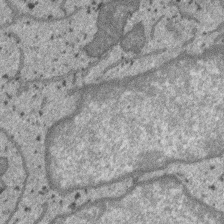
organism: Human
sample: Lung epithelial cells infected with SARS-CoV-2